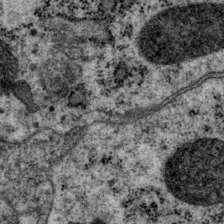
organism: P. pacificus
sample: Pharynx